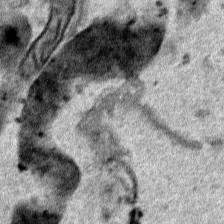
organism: Human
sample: Mitochondria in HCT116 cells